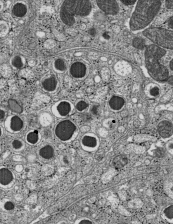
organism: C57BL Mouse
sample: Pancreatic islet